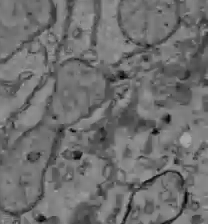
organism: C57BL Mouse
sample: Liver